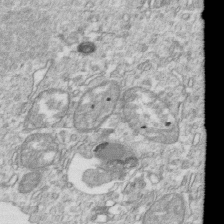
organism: Mouse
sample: Activated OT-1 CD8+ T cells